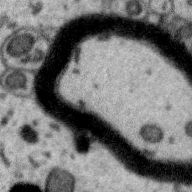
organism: Zebra finch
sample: Brain